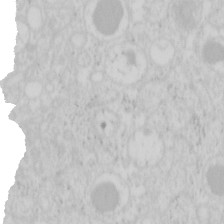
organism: Mouse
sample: Pancreas